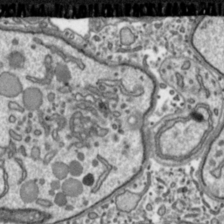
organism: Toxoplasma gondii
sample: Parasites in a vacuole inside a host cell